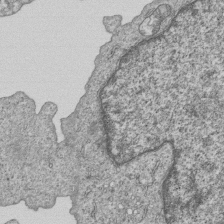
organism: Human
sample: MDA-MB-231 cells